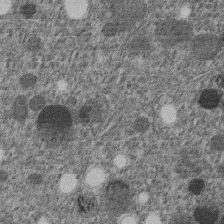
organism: C. elegans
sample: C. elegans embryo early stage